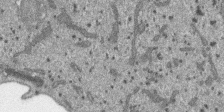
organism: Human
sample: Lung epithelial cells infected with SARS-CoV-2